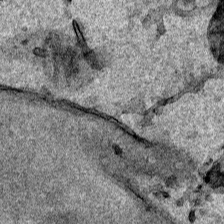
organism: Human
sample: Mitochondria in HCT116 cells